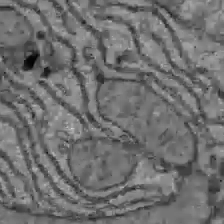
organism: C57BL Mouse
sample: Liver